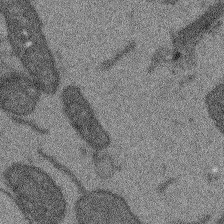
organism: Arabidopsis thaliana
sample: Root tip